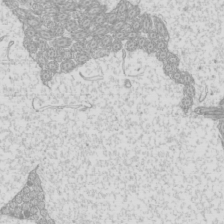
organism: Mouse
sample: Cilia; mouse epididymis